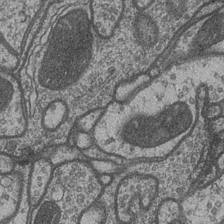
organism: Drosophila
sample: Optic medulla